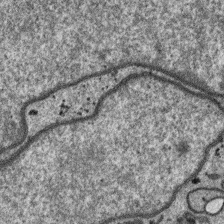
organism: Human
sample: Lung epithelial cells infected with SARS-CoV-2